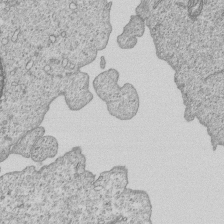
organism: Human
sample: MDA-MB-231 cells